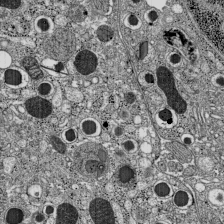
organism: C57BL Mouse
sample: Pancreatic islet